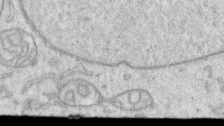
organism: Human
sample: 1205lu cells